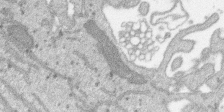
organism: Human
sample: Lung epithelial cells infected with SARS-CoV-2